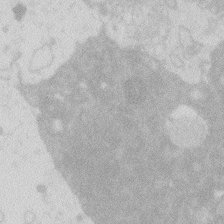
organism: Zebrafish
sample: Macrophage